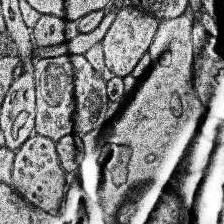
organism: Human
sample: Temporal Lobe